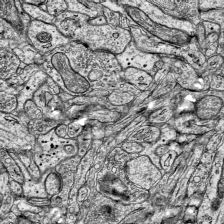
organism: Mouse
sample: Visual Cortex